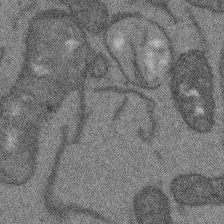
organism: Arabidopsis thaliana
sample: Root tip